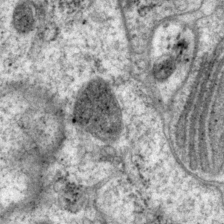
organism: P. pacificus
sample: Pharynx